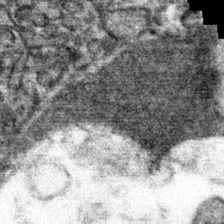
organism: Mouse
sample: Mouse hepatocytes